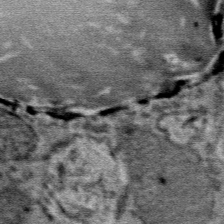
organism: Mouse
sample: Mouse Salivary gland